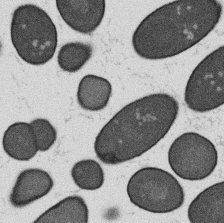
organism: B. subtilis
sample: Bacterial spore